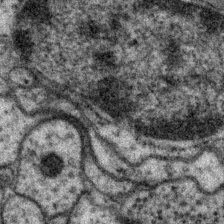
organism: P. pacificus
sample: Pharynx